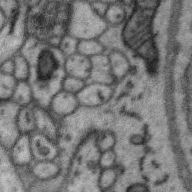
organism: Zebra finch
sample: Brain